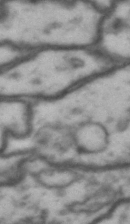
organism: Drosophila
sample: Brain